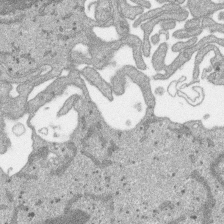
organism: Human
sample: Lung epithelial cells infected with SARS-CoV-2